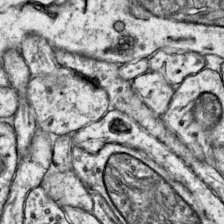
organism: Mouse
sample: Primary visual cortex